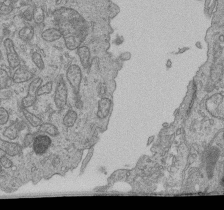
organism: Human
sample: Retinal organoid Rod and Cone cells